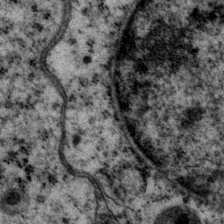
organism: P. pacificus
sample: Pharynx